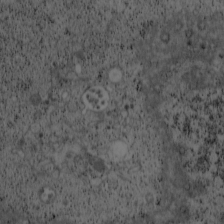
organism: African green monkey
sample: COS-7 cells